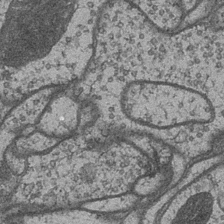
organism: Drosophila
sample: Optic medulla